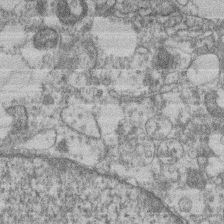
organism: Mouse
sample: T cell stromal cell synapse